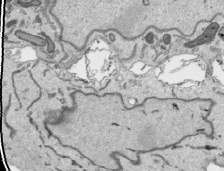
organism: Human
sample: Mitochondria in HCT116 cells